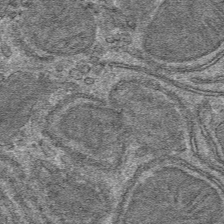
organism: Mouse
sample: Mouse hepatocytes